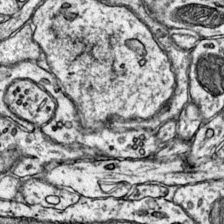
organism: Mouse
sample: Primary visual cortex